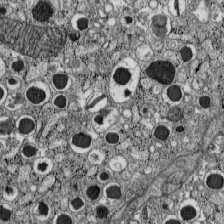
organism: C57BL Mouse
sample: Pancreatic islet